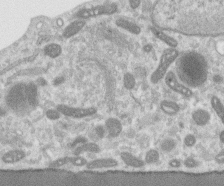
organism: Human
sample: Centriole in RPE cells